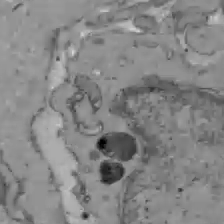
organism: C57BL Mouse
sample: Liver